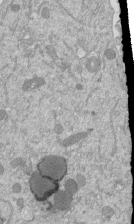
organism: Mouse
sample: ED-1 cell nuclei; centrioles